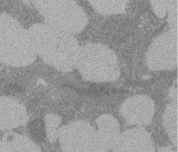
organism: Rat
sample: Salivary granule